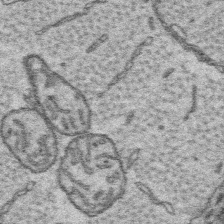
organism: Platynereis dumerilii